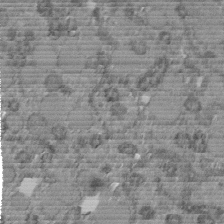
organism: C. elegans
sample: C. elegans embryo early stage